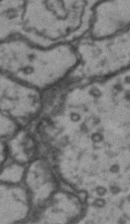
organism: Drosophila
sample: Brain